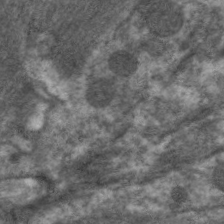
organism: C. elegans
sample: Pharynx